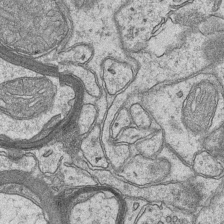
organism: Mouse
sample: CA1 Hippocampus